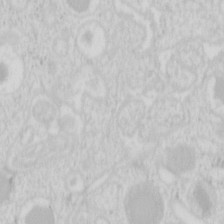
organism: Mouse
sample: Pancreas